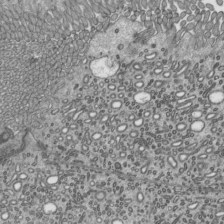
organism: Mouse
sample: Mouse epididymis efferent ductule cilia